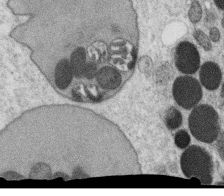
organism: C. elegans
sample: C. elegans oocyte; sperm cells